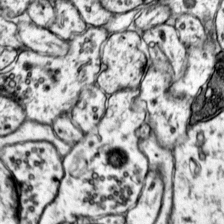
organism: Mouse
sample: Primary visual cortex